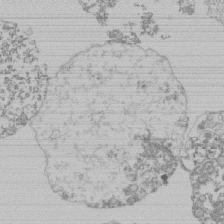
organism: Mouse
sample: Activated Pmel transgenic CD8+ T Cells